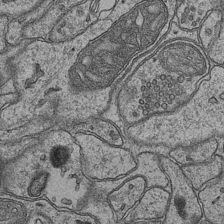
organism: Mouse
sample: CA1 Hippocampus